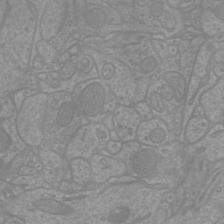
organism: Mouse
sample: Cortical neurons